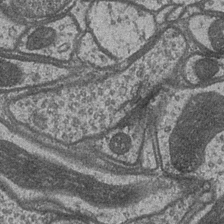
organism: Drosophila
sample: Optic medulla